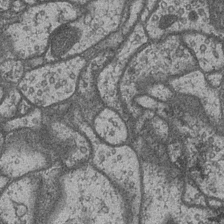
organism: Drosophila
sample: Optic medulla